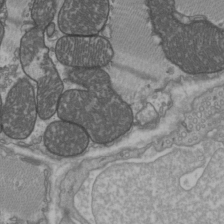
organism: C57BL Mouse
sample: Heart